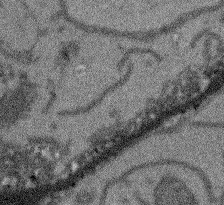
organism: Arabidopsis thaliana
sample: Root tip